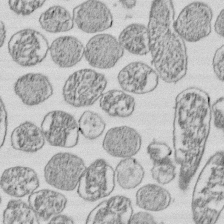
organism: E. coli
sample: Bacterial nucleoid